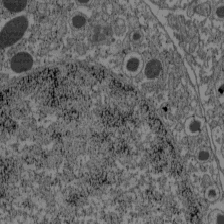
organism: C57BL Mouse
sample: Pancreatic islet